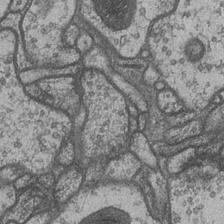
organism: Drosophila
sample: Optic medulla